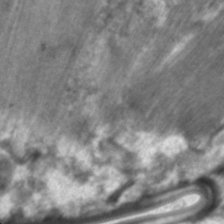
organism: C. elegans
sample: Pharynx